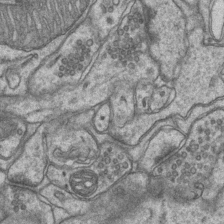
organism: Mouse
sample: CA1 Hippocampus